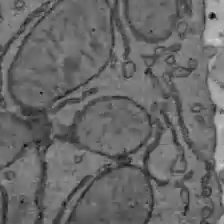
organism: C57BL Mouse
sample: Liver